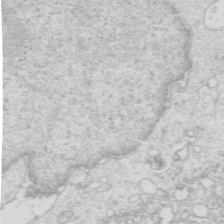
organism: Mouse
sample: Multiciliated cells